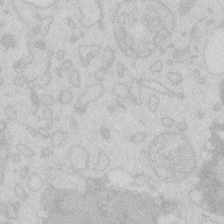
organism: Zebrafish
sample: Macrophage